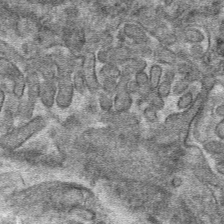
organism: Mouse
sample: Mouse hepatocytes